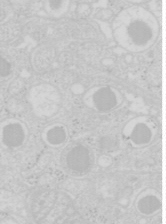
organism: Mouse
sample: Pancreas